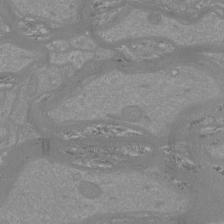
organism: Mouse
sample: Cortical neurons